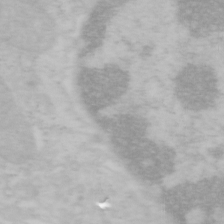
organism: Mouse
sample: OT-I killer T cells with ID8 ovarian cancer cells